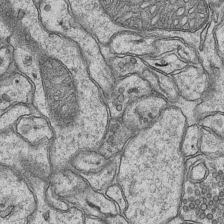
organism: Mouse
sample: CA1 Hippocampus